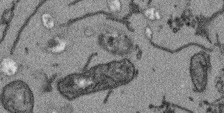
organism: Arabidopsis thaliana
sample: Root tip